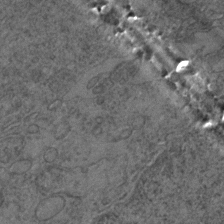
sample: Trachea